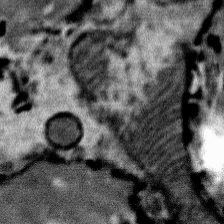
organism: Mouse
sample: Mouse Salivary gland